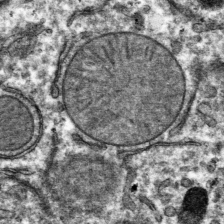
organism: Mouse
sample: Mouse hepatocytes